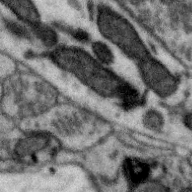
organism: Zebra finch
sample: Brain